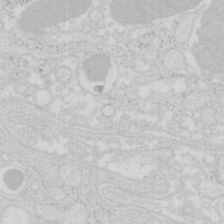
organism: Mouse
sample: Pancreas